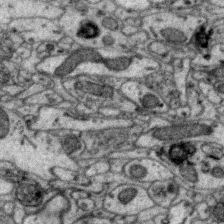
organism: Zebra finch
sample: Brain